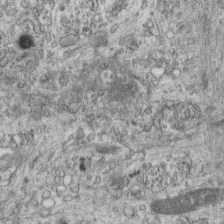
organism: Mouse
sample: Centriole in ependymal cells